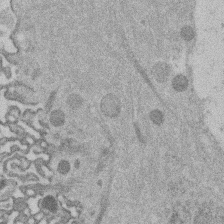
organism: Mouse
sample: Dividing mouse embryo 1 cell stage